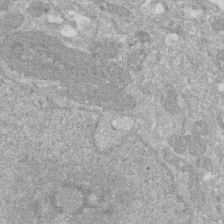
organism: Human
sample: HIV infected U937 cells